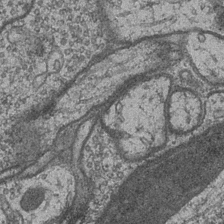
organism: Drosophila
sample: Optic medulla